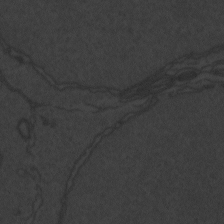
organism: Zebrafish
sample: Macrophage infected with Toxoplasma gondii